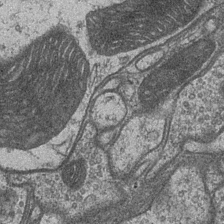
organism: Drosophila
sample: Optic medulla